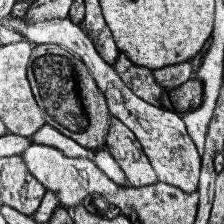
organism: Human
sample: Temporal Lobe